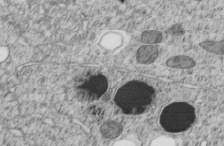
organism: C. elegans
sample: C. elegans embryo early stage